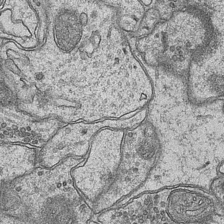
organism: Mouse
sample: CA1 Hippocampus